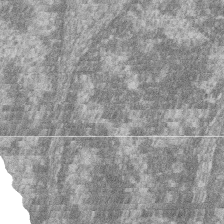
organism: Zebrafish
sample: Cilia; retinal pigment epithelium